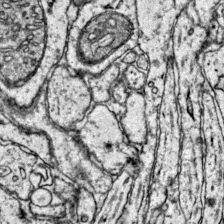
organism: Mouse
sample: Primary visual cortex